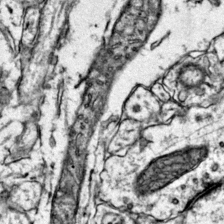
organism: Mouse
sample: Primary visual cortex